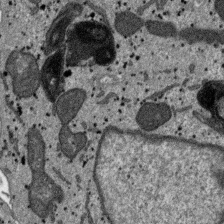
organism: Human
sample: Lung epithelial cells, uninfected (mock) control